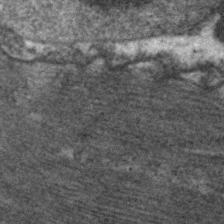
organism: C. elegans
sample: Pharynx